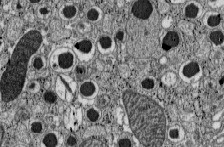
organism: C57BL Mouse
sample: Pancreatic islet